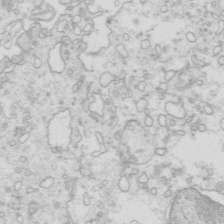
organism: Mouse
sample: Multiciliated cells